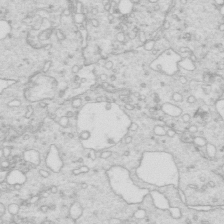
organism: Mouse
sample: Multiciliated cells